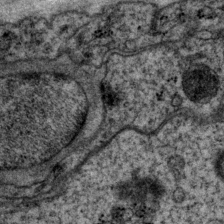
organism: P. pacificus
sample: Pharynx